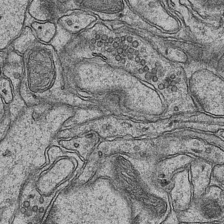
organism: Mouse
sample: CA1 Hippocampus